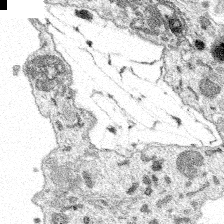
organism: Spongilla lacustris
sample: Multiple